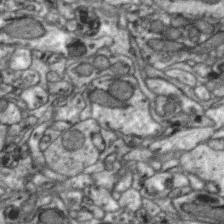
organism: Zebra finch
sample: Brain